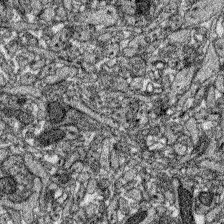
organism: Zebrafish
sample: Larval olfactory bulb